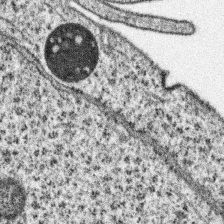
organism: Human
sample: HeLa cells